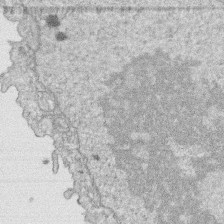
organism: Human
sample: HeLa cell HIV synapse